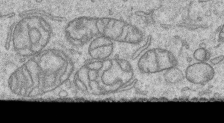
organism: Human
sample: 1205lu cells